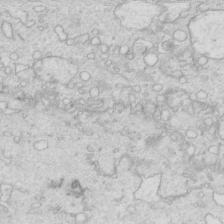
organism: Mouse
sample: Multiciliated cells